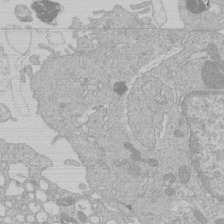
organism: Human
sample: Macrophage cells